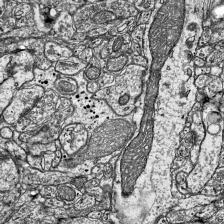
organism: Mouse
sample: Visual Cortex